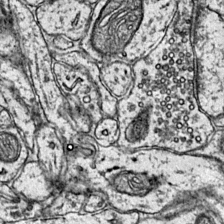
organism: Mouse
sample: Primary visual cortex